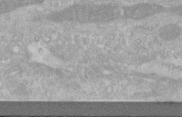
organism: Human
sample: Centriole in RPE cells